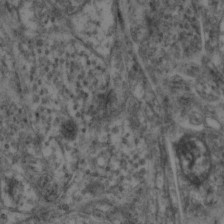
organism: Mouse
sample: Neocortex